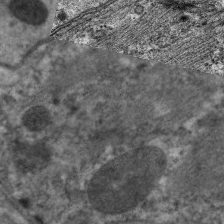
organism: C. elegans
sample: Pharynx